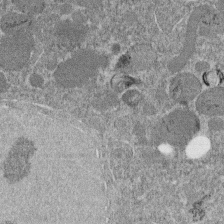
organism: C. elegans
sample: C. elegans embryo early stage